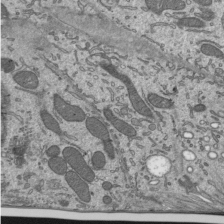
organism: Mouse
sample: Mouse epididymis efferent ductule cilia